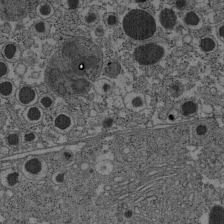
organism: C57BL Mouse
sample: Pancreatic islet